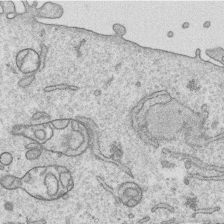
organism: Human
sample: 1205lu cells